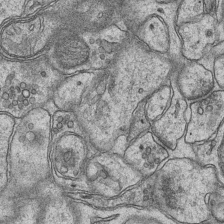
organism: Mouse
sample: CA1 Hippocampus